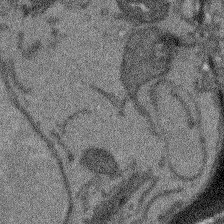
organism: Arabidopsis thaliana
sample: Root tip